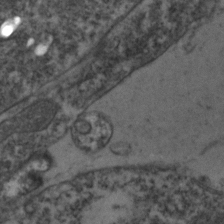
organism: Zebrafish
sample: Zebrafish embryo